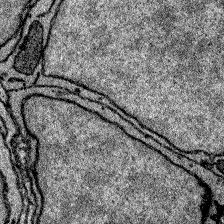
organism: Zebrafish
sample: Larval olfactory bulb